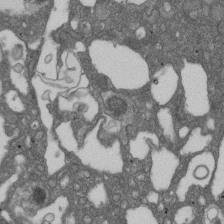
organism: Drosophila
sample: Nephrocyte